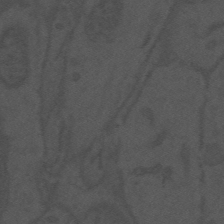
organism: Mouse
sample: Suprachiasmatic nucleus